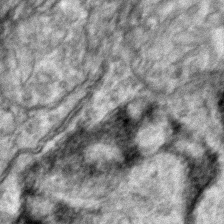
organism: Zebrafish